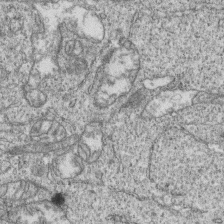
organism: Human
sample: HeLa cell HIV synapse